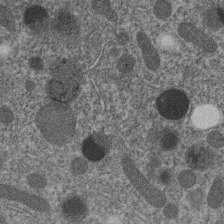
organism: C. elegans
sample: C. elegans embryo early stage